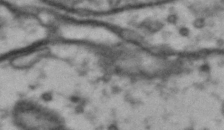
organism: Drosophila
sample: Brain